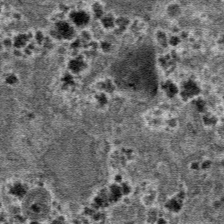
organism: Mouse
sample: Mouse hepatocytes